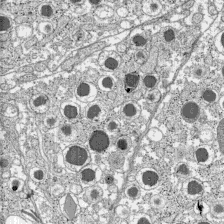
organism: C57BL Mouse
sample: Pancreatic islet